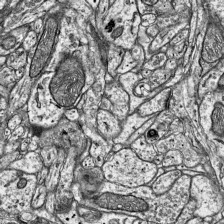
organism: Mouse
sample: Visual Cortex